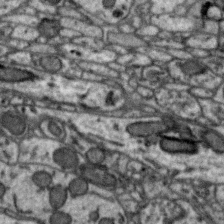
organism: Zebra finch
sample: Brain